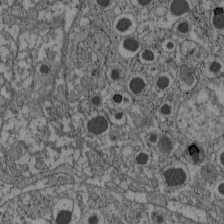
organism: C57BL Mouse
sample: Pancreatic islet